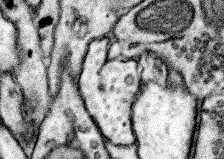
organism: Mouse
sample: Somatosensory cortex neuropil